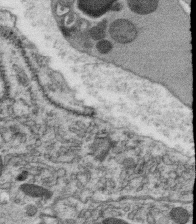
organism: C. elegans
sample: C. elegans oocyte; sperm cells